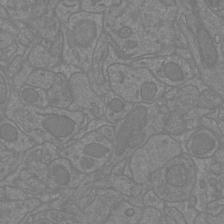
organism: Mouse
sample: Cortical neurons